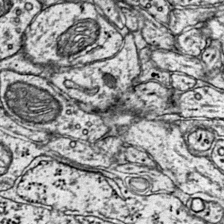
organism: Mouse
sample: Primary visual cortex